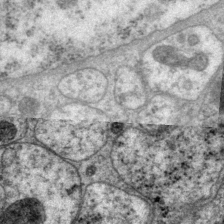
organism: P. pacificus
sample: Pharynx